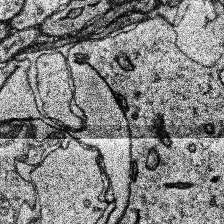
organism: Human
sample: Temporal Lobe